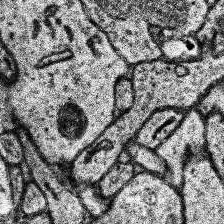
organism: Human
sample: Temporal Lobe